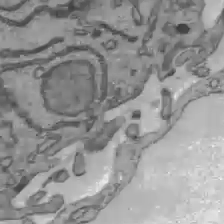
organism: C57BL Mouse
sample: Liver